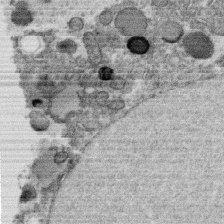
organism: C. elegans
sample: C. elegans oocyte; sperm cells